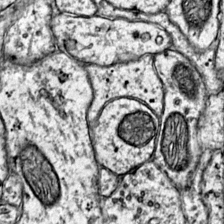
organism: Mouse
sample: Primary visual cortex